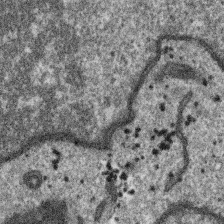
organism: Human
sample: Lung epithelial cells infected with SARS-CoV-2